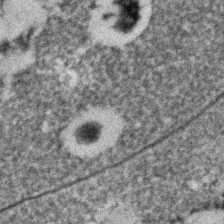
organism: C. elegans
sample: C. elegans embryo